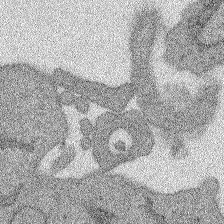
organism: Human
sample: HeLa cells